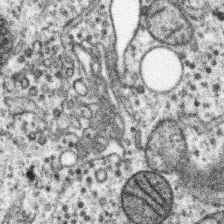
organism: Human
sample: HeLa cells